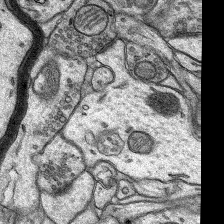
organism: Rat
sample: Hippocampus